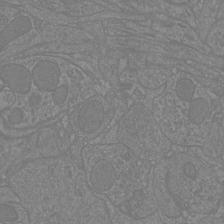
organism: Mouse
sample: Cortical neurons